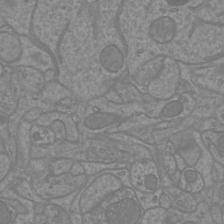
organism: Mouse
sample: Cortical neurons